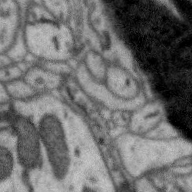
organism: Zebra finch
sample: Brain